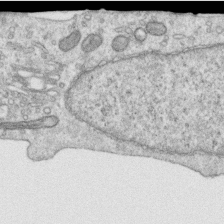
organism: Human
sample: Centriole in RPE cells